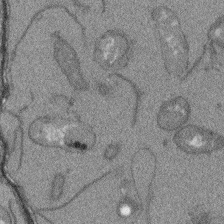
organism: Arabidopsis thaliana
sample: Root tip